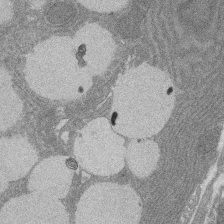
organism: Rat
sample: Salivary granule